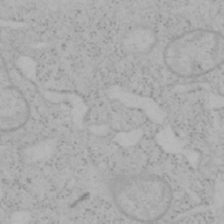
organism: Mouse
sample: OT-I killer T cells with ID8 ovarian cancer cells